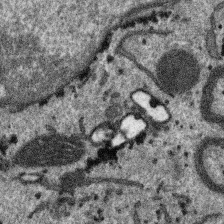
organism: Human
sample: Lung epithelial cells infected with SARS-CoV-2